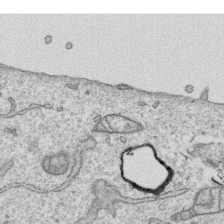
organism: Human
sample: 1205lu cells